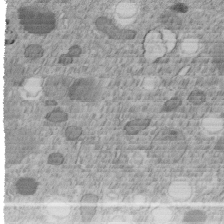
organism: C. elegans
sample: C. elegans embryo early stage